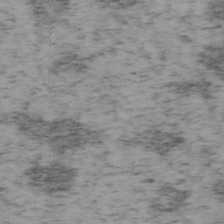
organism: Mouse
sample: OT-I killer T cells with ID8 ovarian cancer cells